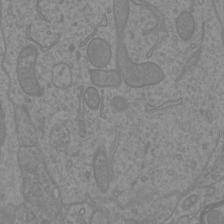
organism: Mouse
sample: Cortical neurons